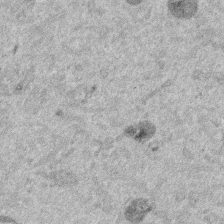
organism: Mouse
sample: Dividing mouse embryo 1 cell stage